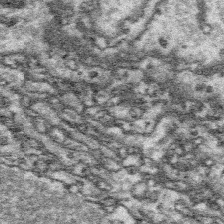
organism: Platynereis dumerilii